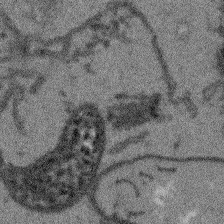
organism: Arabidopsis thaliana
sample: Root tip